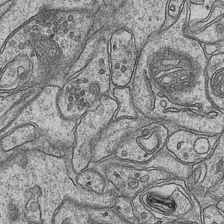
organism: Mouse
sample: CA1 Hippocampus